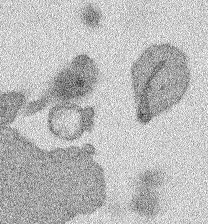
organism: Human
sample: HeLa cells